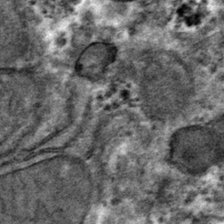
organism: Mouse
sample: Mouse hepatocytes